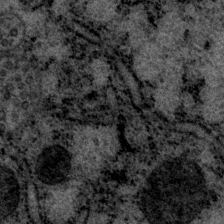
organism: P. pacificus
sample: Pharynx